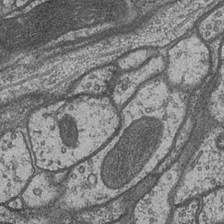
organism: Drosophila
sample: Optic medulla